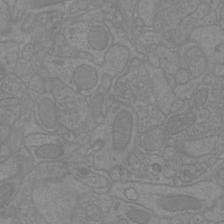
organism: Mouse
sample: Cortical neurons